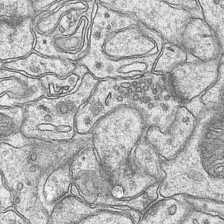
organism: Mouse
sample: CA1 Hippocampus